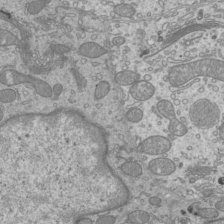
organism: Mouse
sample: Cilia; mouse epididymis